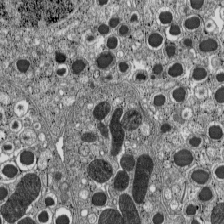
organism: C57BL Mouse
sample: Pancreatic islet